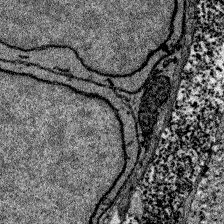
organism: Zebrafish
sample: Larval olfactory bulb